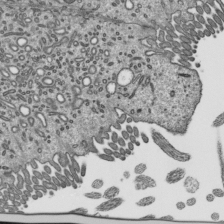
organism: Mouse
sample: Mouse epididymis efferent ductule cilia